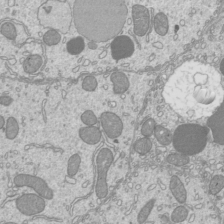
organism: Mouse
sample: Cilia; mouse epididymis